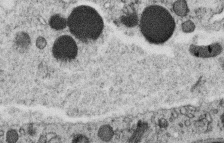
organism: C. elegans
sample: C. elegans oocyte; sperm cells